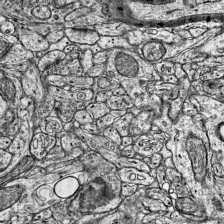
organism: Mouse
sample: Visual Cortex